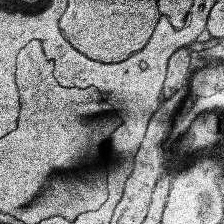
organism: Human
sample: Temporal Lobe